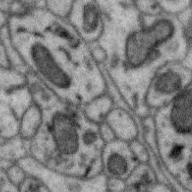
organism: Zebra finch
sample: Brain